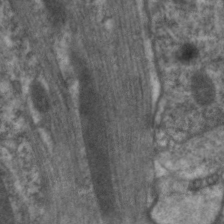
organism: C. elegans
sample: Pharynx